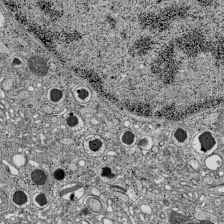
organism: C57BL Mouse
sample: Pancreatic islet